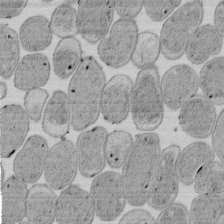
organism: E. coli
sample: Bacterial nucleoid